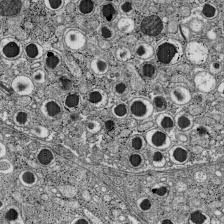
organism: C57BL Mouse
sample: Pancreatic islet